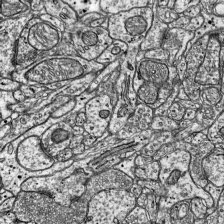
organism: Mouse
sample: Visual Cortex